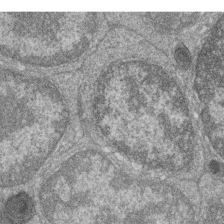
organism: Zebrafish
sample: Cilia; retinal pigment epithelium